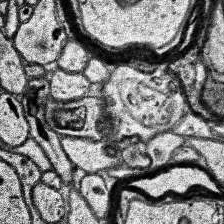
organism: Human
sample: Temporal Lobe